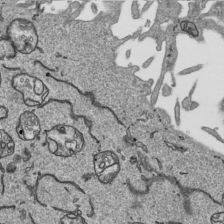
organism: Human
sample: Mitochondria in HCT116 cells